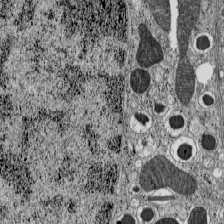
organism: C57BL Mouse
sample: Pancreatic islet